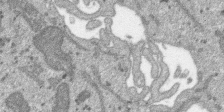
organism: Human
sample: Lung epithelial cells infected with SARS-CoV-2